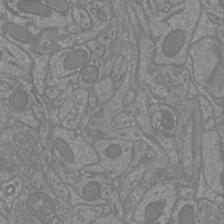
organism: Mouse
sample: Cortical neurons